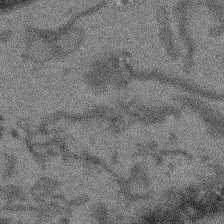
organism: Arabidopsis thaliana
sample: Root tip